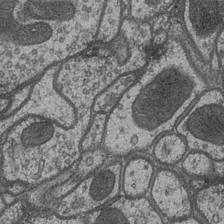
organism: Drosophila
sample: Optic medulla